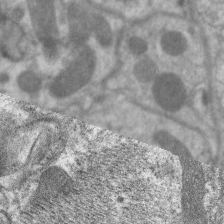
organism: C. elegans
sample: Pharynx